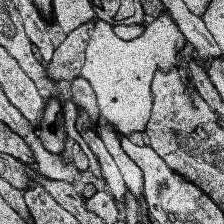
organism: Human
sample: Temporal Lobe